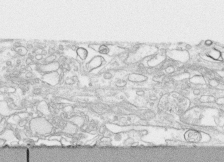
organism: Human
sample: CRL-1474